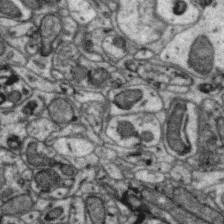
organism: Zebra finch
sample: Brain